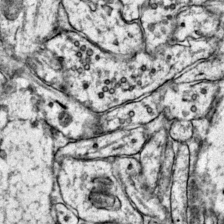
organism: Mouse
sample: Primary visual cortex